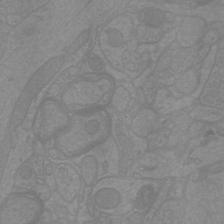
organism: Mouse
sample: Cortical neurons